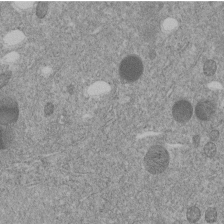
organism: C. elegans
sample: C. elegans embryo early stage